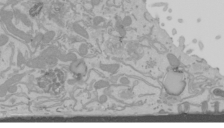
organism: Mouse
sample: Cancer cell death in ED-1 cells